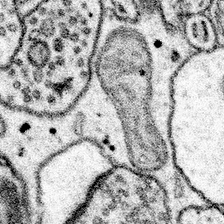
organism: Mouse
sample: Somatosensory cortex neuropil